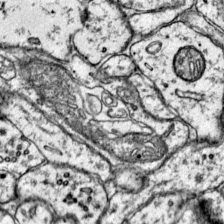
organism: Mouse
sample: Primary visual cortex